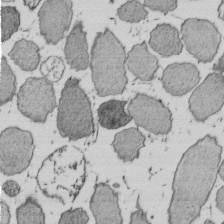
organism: E. coli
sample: Bacterial nucleoid